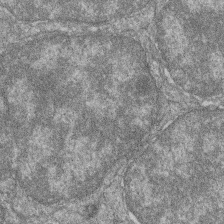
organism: Zebrafish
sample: Cilia; retinal pigment epithelium